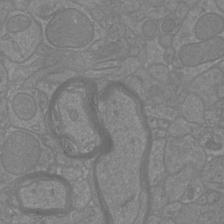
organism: Mouse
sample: Cortical neurons